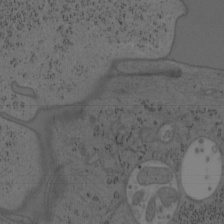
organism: Mouse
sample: OT-I killer T cells with ID8 ovarian cancer cells